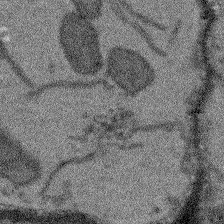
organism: Arabidopsis thaliana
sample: Root tip